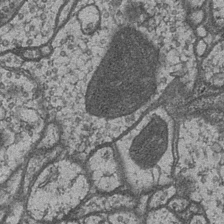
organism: Drosophila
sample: Optic medulla